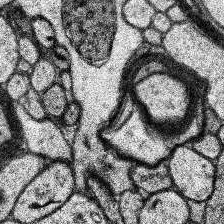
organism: Human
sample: Temporal Lobe